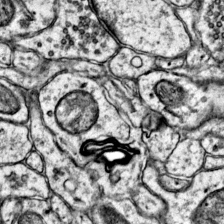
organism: Mouse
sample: Primary visual cortex